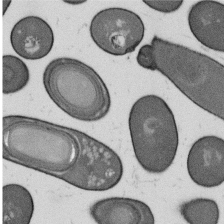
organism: B. subtilis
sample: Bacterial spore